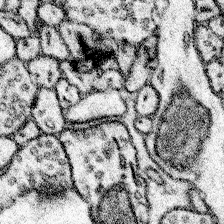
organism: Mouse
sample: Somatosensory cortex neuropil